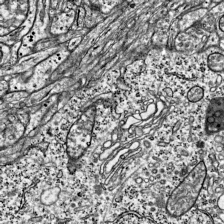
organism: Mouse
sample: Visual Cortex